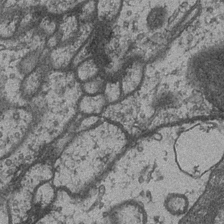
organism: Drosophila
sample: Optic medulla